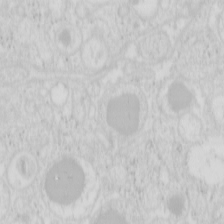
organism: Mouse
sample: Pancreas